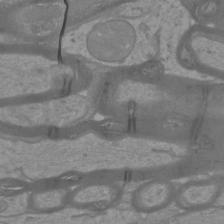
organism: Mouse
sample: Cortical neurons